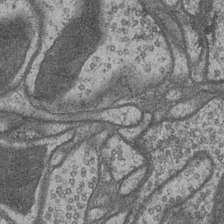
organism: Drosophila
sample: Optic medulla